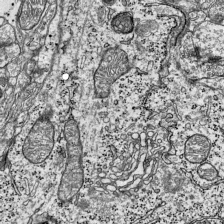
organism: Mouse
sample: Visual Cortex